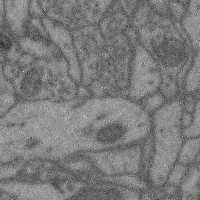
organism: Mouse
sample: Cerebral cortex